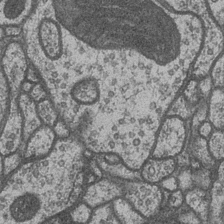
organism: Drosophila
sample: Optic medulla